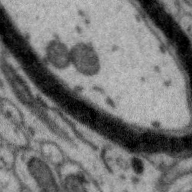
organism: Zebra finch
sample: Brain